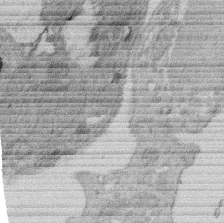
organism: Rat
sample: Salivary granule